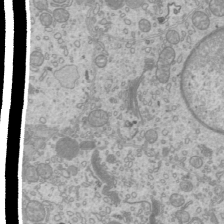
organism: Mouse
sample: Cilia; mouse epididymis